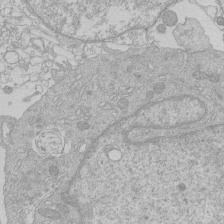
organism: Human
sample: Macrophage cells